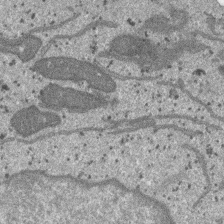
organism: Human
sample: Lung epithelial cells infected with SARS-CoV-2